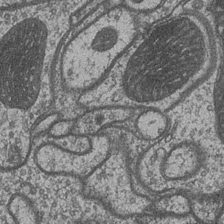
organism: Drosophila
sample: Optic medulla